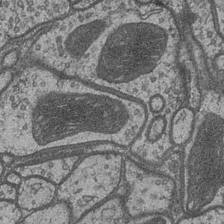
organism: Drosophila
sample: Optic medulla